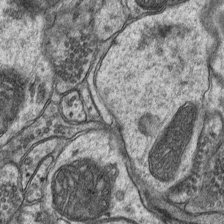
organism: Mouse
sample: CA1 Hippocampus